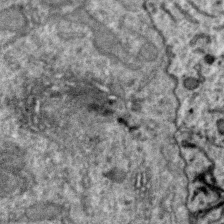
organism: Zebra finch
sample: Brain